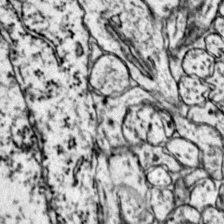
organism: Mouse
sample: Primary visual cortex